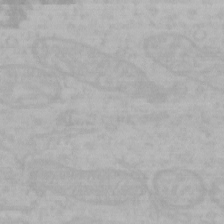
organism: Mouse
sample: Choroid plexus